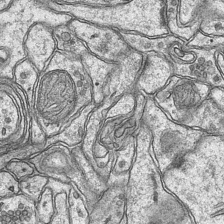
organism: Mouse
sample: CA1 Hippocampus